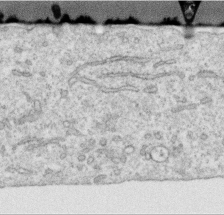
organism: Human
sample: Centriole in RPE cells